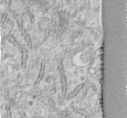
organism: Human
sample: Centriole in fibroblast cells